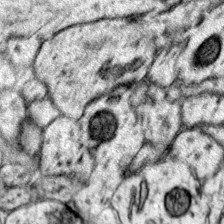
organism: Mouse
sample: Primary visual cortex